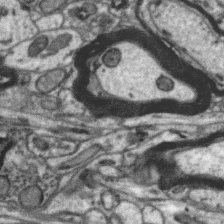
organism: Zebra finch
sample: Brain